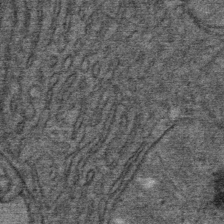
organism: Mouse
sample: Mouse Salivary gland